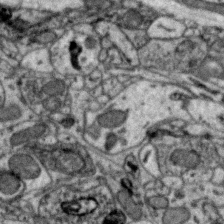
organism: Zebra finch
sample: Brain